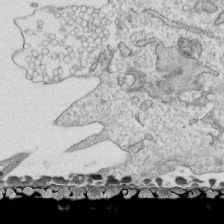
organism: Human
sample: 1205lu cells